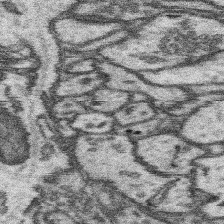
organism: Mouse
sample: Somatosensory cortex neuropil